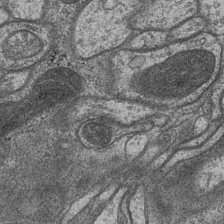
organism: Drosophila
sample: Optic medulla